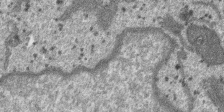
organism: Human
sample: Lung epithelial cells infected with SARS-CoV-2